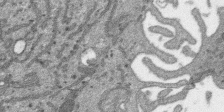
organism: Human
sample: Lung epithelial cells infected with SARS-CoV-2